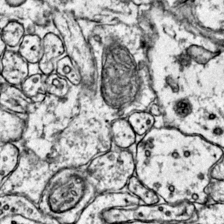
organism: Mouse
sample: Primary visual cortex